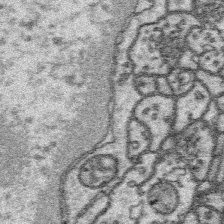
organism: Platynereis dumerilii